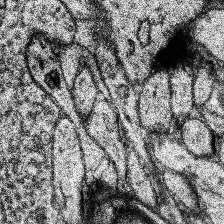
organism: Human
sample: Temporal Lobe